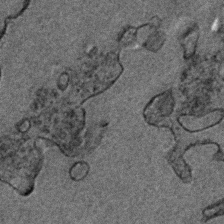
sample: Trachea